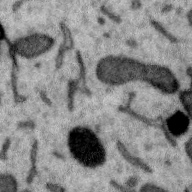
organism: Zebra finch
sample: Brain